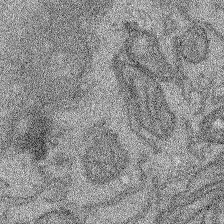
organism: Human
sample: HeLa cells